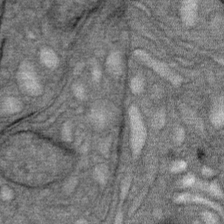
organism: Mouse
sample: Mouse Salivary gland